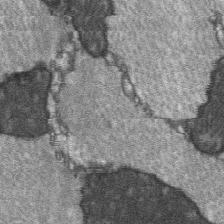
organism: C57BL Mouse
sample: Soleus